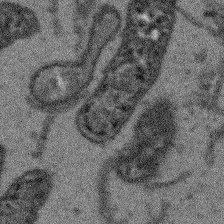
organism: Arabidopsis thaliana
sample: Root tip